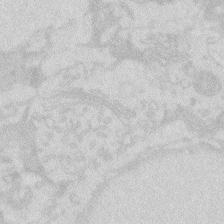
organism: Zebrafish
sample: Macrophage